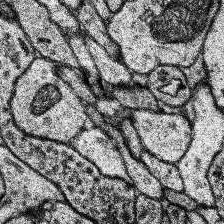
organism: Human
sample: Temporal Lobe